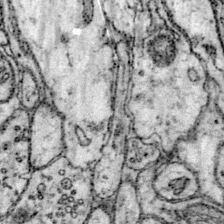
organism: Mouse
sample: Primary visual cortex